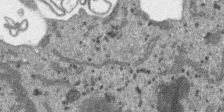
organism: Human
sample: Lung epithelial cells infected with SARS-CoV-2